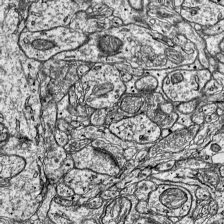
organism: Mouse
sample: Visual Cortex